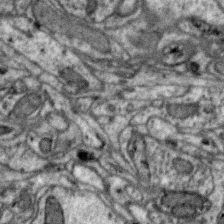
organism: Zebra finch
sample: Brain